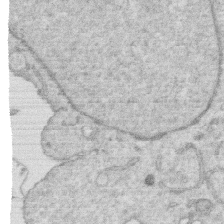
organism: Human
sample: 1205lu cells